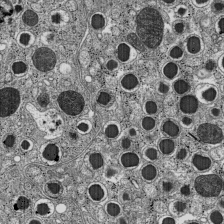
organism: C57BL Mouse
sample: Pancreatic islet